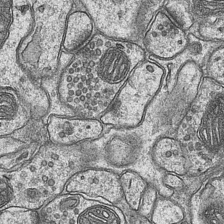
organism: Mouse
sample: CA1 Hippocampus